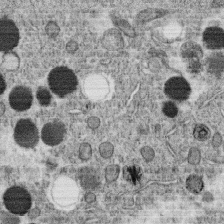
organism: C. elegans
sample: C. elegans oocyte; sperm cells